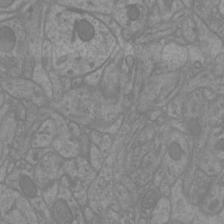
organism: Mouse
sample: Cortical neurons